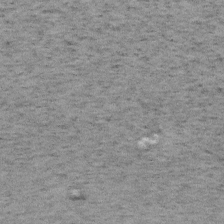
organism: Mouse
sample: OT-I killer T cells with ID8 ovarian cancer cells